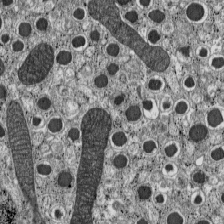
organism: C57BL Mouse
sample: Pancreatic islet